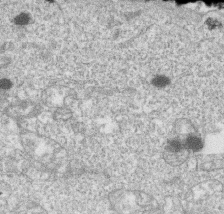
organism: Human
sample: HeLa cell HIV synapse